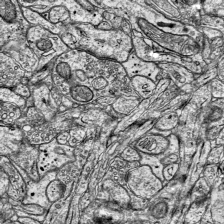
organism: Mouse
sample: Visual Cortex